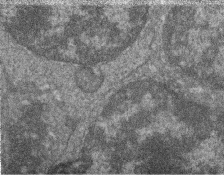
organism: Zebrafish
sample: Cilia; retinal pigment epithelium